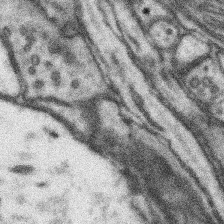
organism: Mouse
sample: Somatosensory cortex neuropil